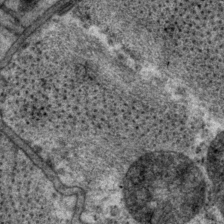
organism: P. pacificus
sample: Pharynx